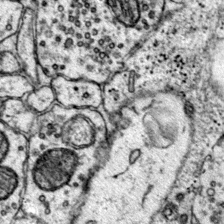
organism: Mouse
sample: Primary visual cortex